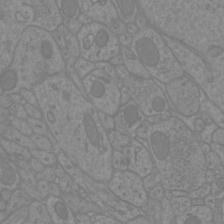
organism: Mouse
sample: Cortical neurons